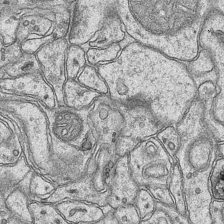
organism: Mouse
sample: CA1 Hippocampus